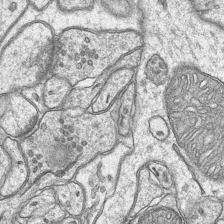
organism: Mouse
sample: CA1 Hippocampus